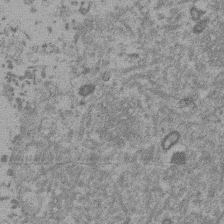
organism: Mouse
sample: Dividing mouse embryo 1 cell stage